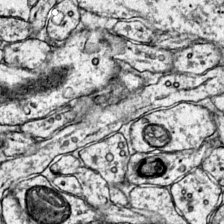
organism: Mouse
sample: Primary visual cortex